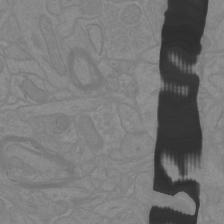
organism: Mouse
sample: Cortical neurons